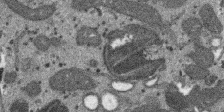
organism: Human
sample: Lung epithelial cells infected with SARS-CoV-2